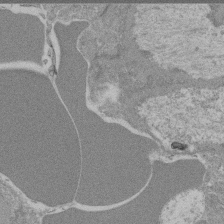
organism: Mouse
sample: Glomerulus